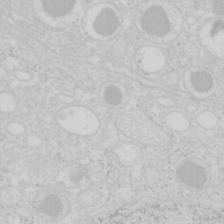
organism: Mouse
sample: Pancreas